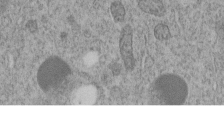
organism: C. elegans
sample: C. elegans embryo early stage